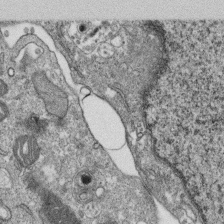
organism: African green monkey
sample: Vero E6 cells infected with SARS-CoV-2